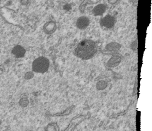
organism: Human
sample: MDA-MB-231 cells